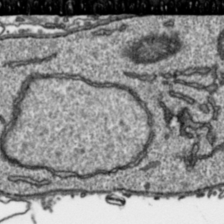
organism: Toxoplasma gondii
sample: Parasites in a vacuole inside a host cell